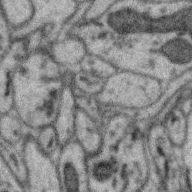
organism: Zebra finch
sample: Brain